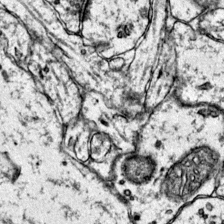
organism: Mouse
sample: Primary visual cortex